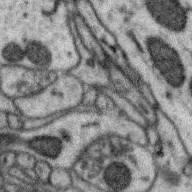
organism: Zebra finch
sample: Brain